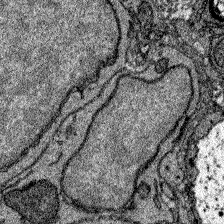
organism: Zebrafish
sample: Larval olfactory bulb